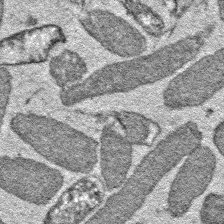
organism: E. coli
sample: E. Coli Bacteria